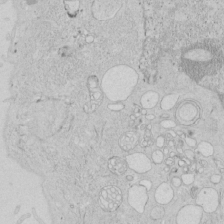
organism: Human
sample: Mitochondria in HCT116 cells